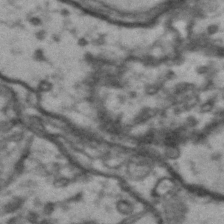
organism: Drosophila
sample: Brain